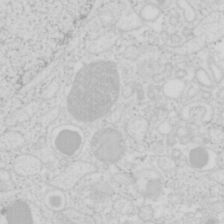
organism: Mouse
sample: Pancreas